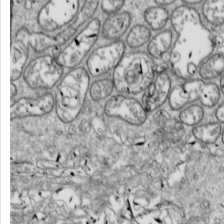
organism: Drosophila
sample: Cell division; meiosis; drosophila spermatocytes